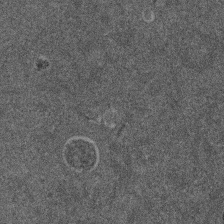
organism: Mouse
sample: Dividing mouse embryo 1 cell stage